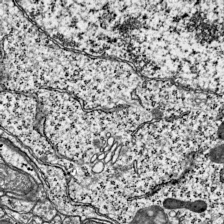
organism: Mouse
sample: Visual Cortex